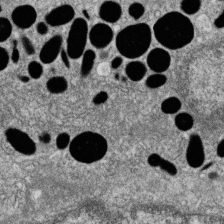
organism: Zebrafish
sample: Cilia; retinal pigment epithelium